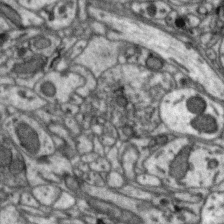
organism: Zebra finch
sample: Brain